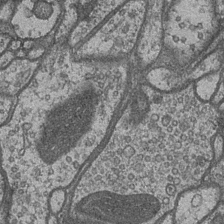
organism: Drosophila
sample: Optic medulla